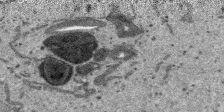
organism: Human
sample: Lung epithelial cells infected with SARS-CoV-2